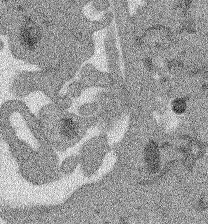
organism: Human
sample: HeLa cells